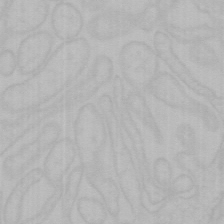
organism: Mouse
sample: Choroid plexus